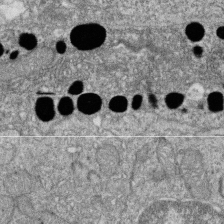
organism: Zebrafish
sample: Cilia; retinal pigment epithelium